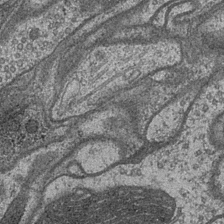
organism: Drosophila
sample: Optic medulla